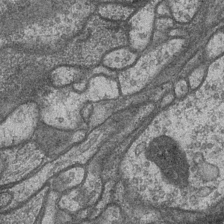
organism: Drosophila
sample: Optic medulla